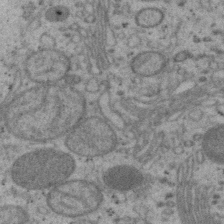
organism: Human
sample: HeLa cells